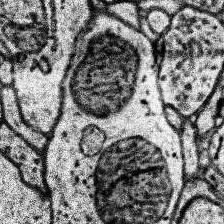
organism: Human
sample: Temporal Lobe